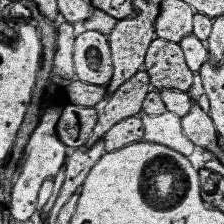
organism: Human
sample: Temporal Lobe